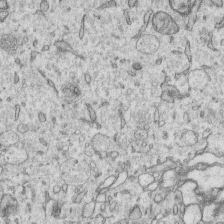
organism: Human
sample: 1205lu cells